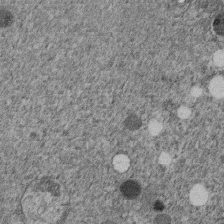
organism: C. elegans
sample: C. elegans embryo early stage